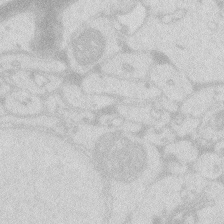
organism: Zebrafish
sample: Macrophage